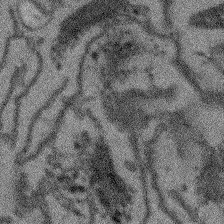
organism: Arabidopsis thaliana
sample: Root tip